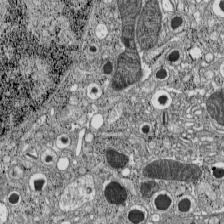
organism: C57BL Mouse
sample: Pancreatic islet